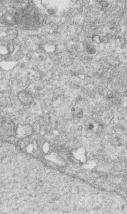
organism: Human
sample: HeLa cell HIV synapse